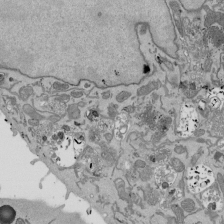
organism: Mouse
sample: ED-1 cell nuclei; centrioles